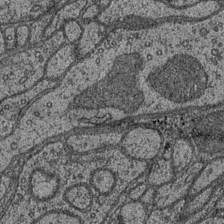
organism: Drosophila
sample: Optic medulla